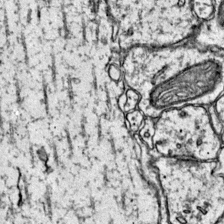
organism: Mouse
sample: Primary visual cortex